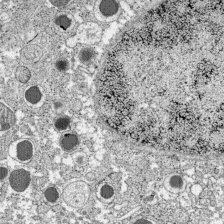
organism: C57BL Mouse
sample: Pancreatic islet